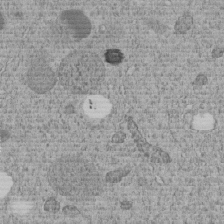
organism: C. elegans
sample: C. elegans embryo early stage